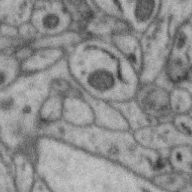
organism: Zebra finch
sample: Brain